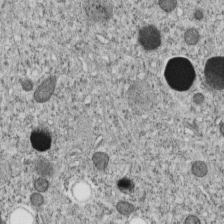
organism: C. elegans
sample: C. elegans embryo early stage